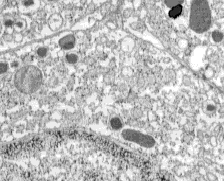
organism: C57BL Mouse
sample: Pancreatic islet